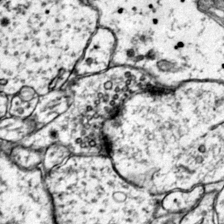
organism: Mouse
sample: Primary visual cortex